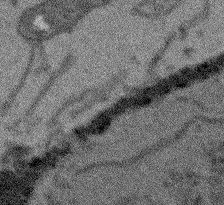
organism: Arabidopsis thaliana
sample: Root tip